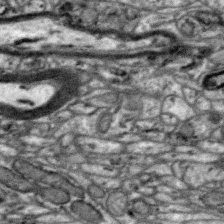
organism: Zebra finch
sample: Brain